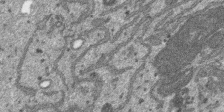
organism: Human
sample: Lung epithelial cells infected with SARS-CoV-2